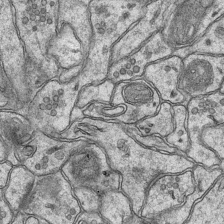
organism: Mouse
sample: CA1 Hippocampus